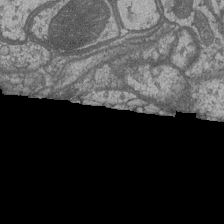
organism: Drosophila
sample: Optic medulla